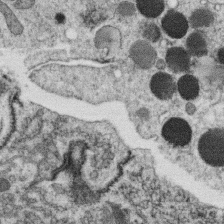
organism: C. elegans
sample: C. elegans oocyte; sperm cells